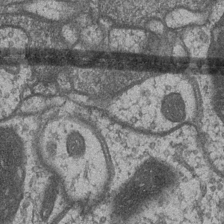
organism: Drosophila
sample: Optic medulla